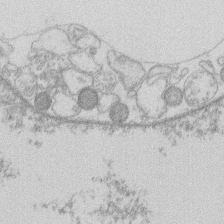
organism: Human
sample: Macrophage cells